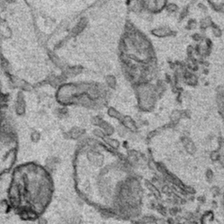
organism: Human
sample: Mitochondria in HCT116 cells